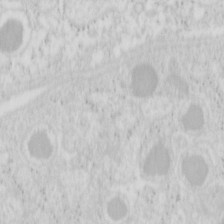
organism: Mouse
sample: Pancreas